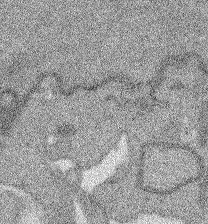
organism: Human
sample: HeLa cells